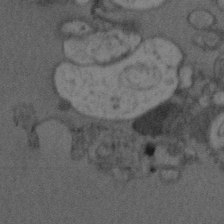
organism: Human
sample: HeLa cells